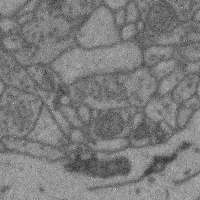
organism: Mouse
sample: Cerebral cortex